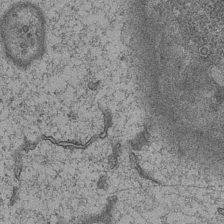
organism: Mouse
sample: CA1 Hippocampus